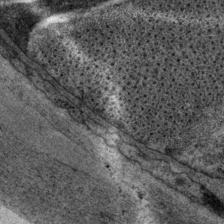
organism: P. pacificus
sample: Pharynx